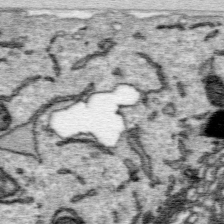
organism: Human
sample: HeLa cells